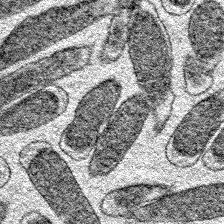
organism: E. coli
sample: E. Coli Bacteria